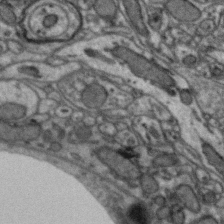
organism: Zebra finch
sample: Brain